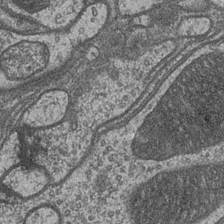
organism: Drosophila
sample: Optic medulla